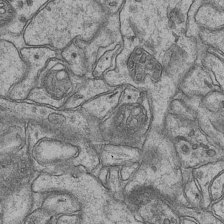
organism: Mouse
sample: CA1 Hippocampus